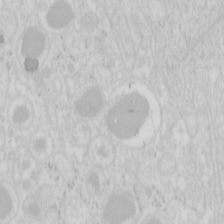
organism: Mouse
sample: Pancreas